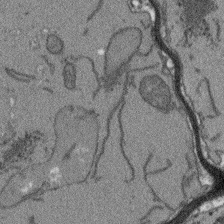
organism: Arabidopsis thaliana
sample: Root tip